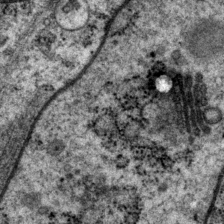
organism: P. pacificus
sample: Pharynx